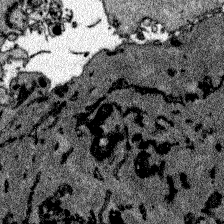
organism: Zebrafish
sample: Larval olfactory bulb